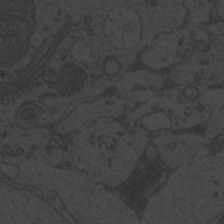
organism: Zebrafish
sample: Macrophage infected with Toxoplasma gondii